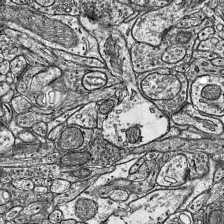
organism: Mouse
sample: Visual Cortex